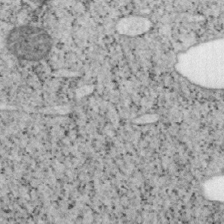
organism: Mouse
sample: OT-I killer T cells with ID8 ovarian cancer cells